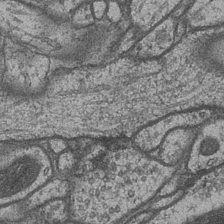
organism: Drosophila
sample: Optic medulla